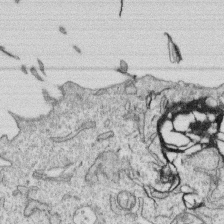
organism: Human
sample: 1205lu cells